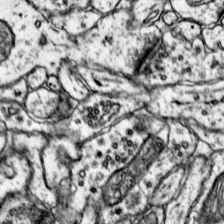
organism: Mouse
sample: Primary visual cortex